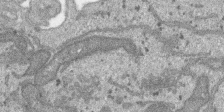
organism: Human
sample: Lung epithelial cells infected with SARS-CoV-2